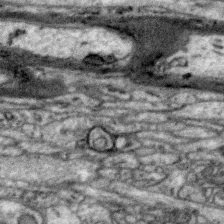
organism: Zebra finch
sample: Brain